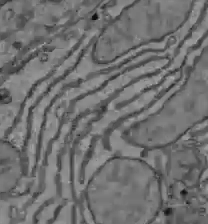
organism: C57BL Mouse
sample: Liver